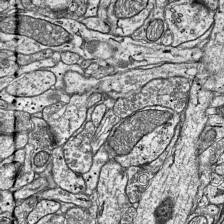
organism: Mouse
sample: Visual Cortex